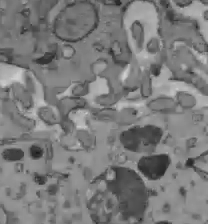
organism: C57BL Mouse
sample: Liver